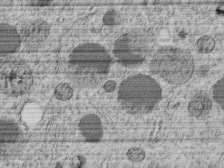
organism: C. elegans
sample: C. elegans embryo early stage